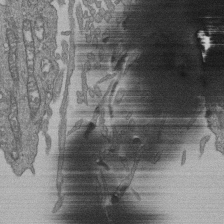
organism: Human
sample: Retinal organoid Rod and Cone cells